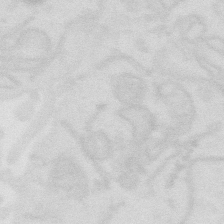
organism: Human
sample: HeLa cells